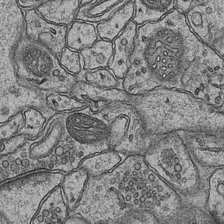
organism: Mouse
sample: CA1 Hippocampus